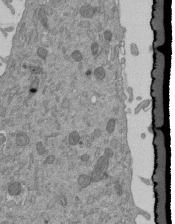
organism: Mouse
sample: ED-1 cell nuclei; centrioles